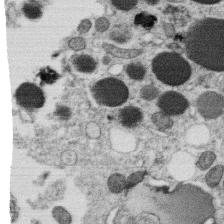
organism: C. elegans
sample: C. elegans oocyte; sperm cells